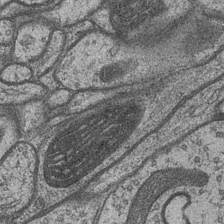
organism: Drosophila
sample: Optic medulla